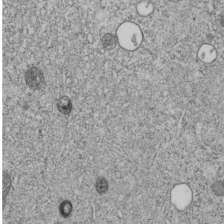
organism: C. elegans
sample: C. elegans embryo early stage